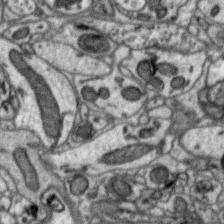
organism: Zebra finch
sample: Brain